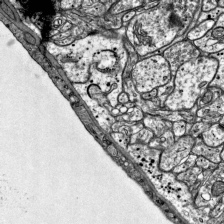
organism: Mouse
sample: Visual Cortex